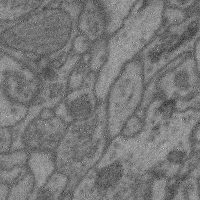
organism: Mouse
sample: Cerebral cortex